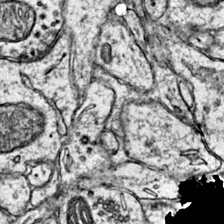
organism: Mouse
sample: Primary visual cortex